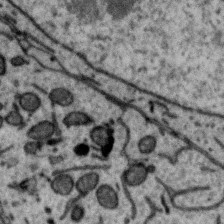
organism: Zebra finch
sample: Brain